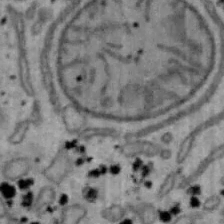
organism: Mouse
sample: Liver